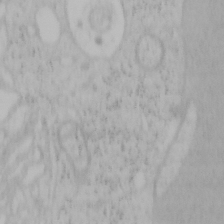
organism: Mouse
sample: OT-I killer T cells with ID8 ovarian cancer cells